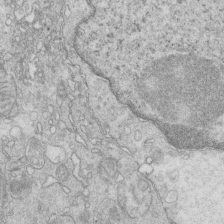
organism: Mouse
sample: Multiciliated cells